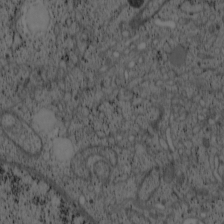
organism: African green monkey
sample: COS-7 cells